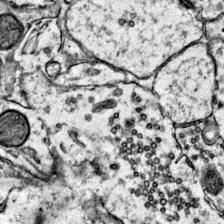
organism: Mouse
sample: Primary visual cortex